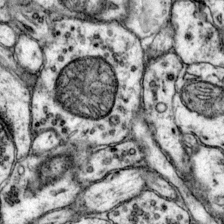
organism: Mouse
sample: Primary visual cortex